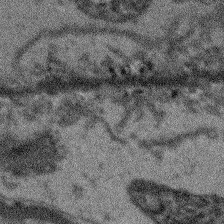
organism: Arabidopsis thaliana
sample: Root tip